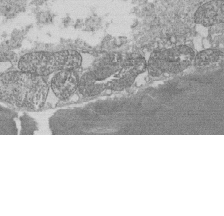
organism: Tetrahymena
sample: Cilia in tetrahymena